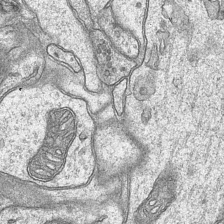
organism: Mouse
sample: CA1 Hippocampus